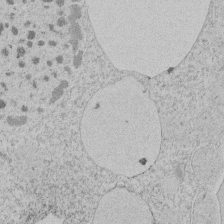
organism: Tetrahymena